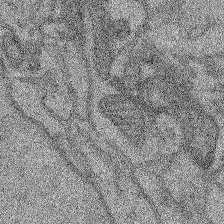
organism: Human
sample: HeLa cells